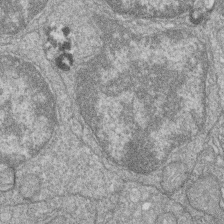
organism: Zebrafish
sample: Cilia; retinal pigment epithelium